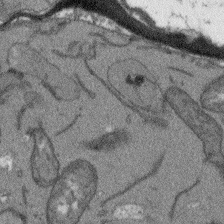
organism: Arabidopsis thaliana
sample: Root tip